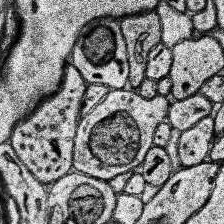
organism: Human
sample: Temporal Lobe